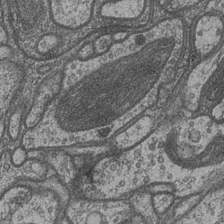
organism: Drosophila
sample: Optic medulla